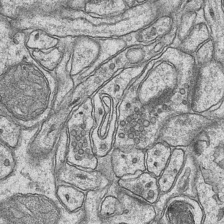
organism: Mouse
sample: CA1 Hippocampus